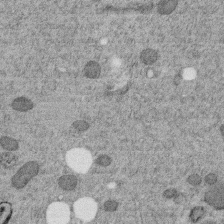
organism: C. elegans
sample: C. elegans embryo early stage